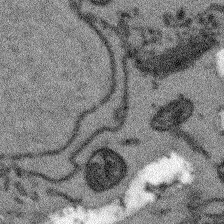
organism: Arabidopsis thaliana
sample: Root tip